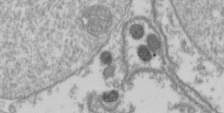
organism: Drosophila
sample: Cell division; meiosis; drosophila spermatocytes